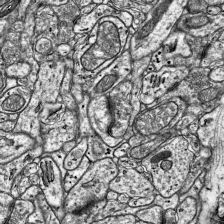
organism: Mouse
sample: Visual Cortex